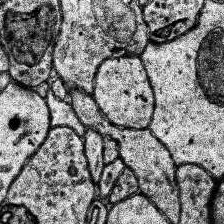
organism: Human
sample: Temporal Lobe